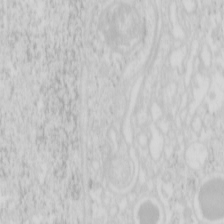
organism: Mouse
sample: Pancreas